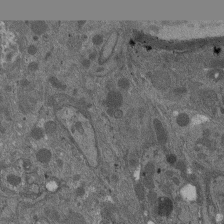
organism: Drosophila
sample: Antenna